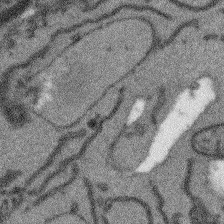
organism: Arabidopsis thaliana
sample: Root tip